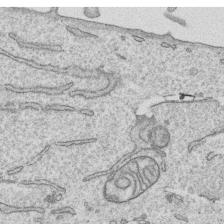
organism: Human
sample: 1205lu cells